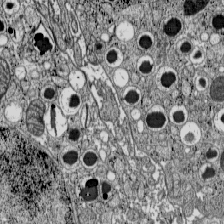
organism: C57BL Mouse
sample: Pancreatic islet